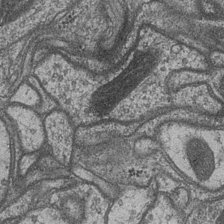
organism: Drosophila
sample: Optic medulla